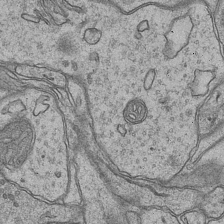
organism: Mouse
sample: CA1 Hippocampus